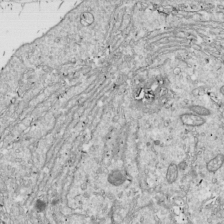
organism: Drosophila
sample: Cell division; meiosis; drosophila spermatocytes